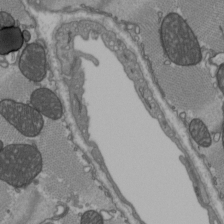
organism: C57BL Mouse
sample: Heart